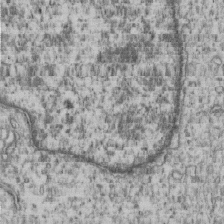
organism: Human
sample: MDA-MB-231 cells